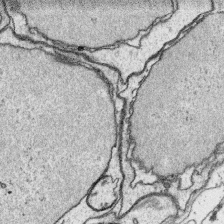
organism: Platynereis dumerilii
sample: Parapodia